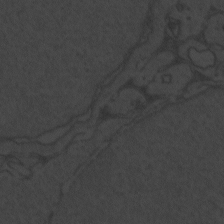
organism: Zebrafish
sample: Macrophage infected with Toxoplasma gondii